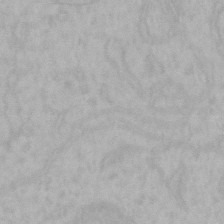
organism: Mouse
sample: Choroid plexus